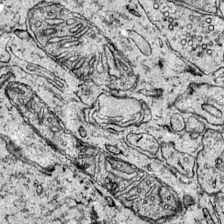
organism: Mouse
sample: Primary visual cortex